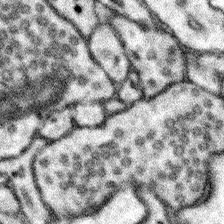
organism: Mouse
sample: Somatosensory cortex neuropil